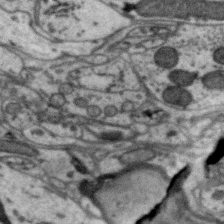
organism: Zebra finch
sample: Brain